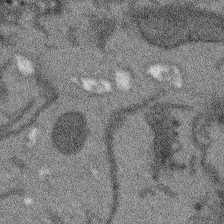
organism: Arabidopsis thaliana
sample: Root tip